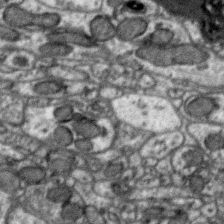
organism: Zebra finch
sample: Brain